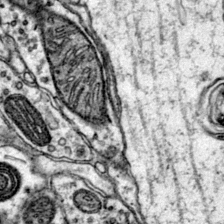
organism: Mouse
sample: Primary visual cortex